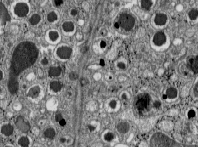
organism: C57BL Mouse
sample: Pancreatic islet